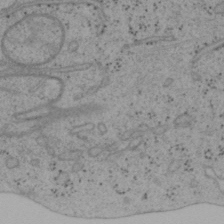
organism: Human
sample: HeLa cells